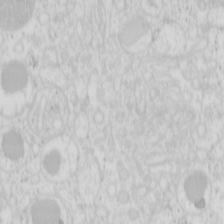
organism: Mouse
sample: Pancreas